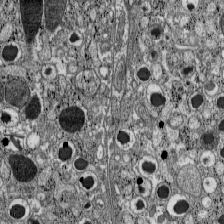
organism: C57BL Mouse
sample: Pancreatic islet